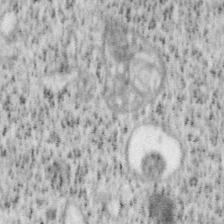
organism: Mouse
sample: OT-I killer T cells with ID8 ovarian cancer cells